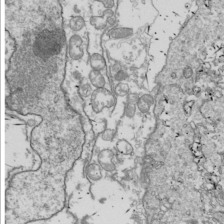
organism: Drosophila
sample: Cell division; meiosis; drosophila spermatocytes